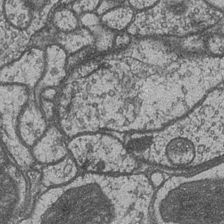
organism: Drosophila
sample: Optic medulla